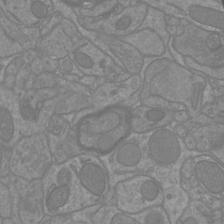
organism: Mouse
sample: Cortical neurons